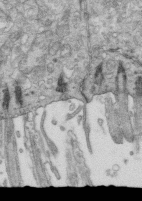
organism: Mouse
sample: Multiciliated cells